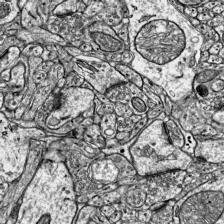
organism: Mouse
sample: Visual Cortex